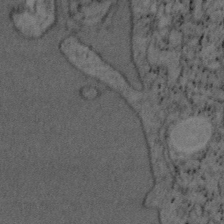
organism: Human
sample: HeLa cells